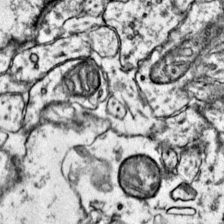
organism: Mouse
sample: Primary visual cortex